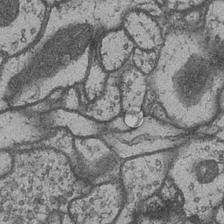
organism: Drosophila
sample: Optic medulla